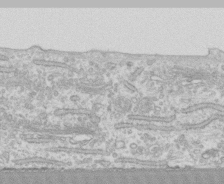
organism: Human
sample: CRL-1474